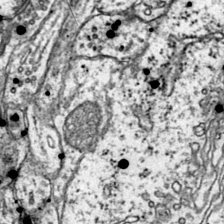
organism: Mouse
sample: Primary visual cortex